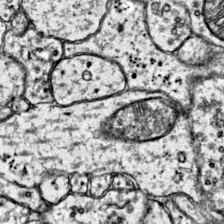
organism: Mouse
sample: Primary visual cortex